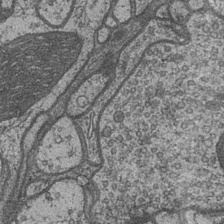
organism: Drosophila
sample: Optic medulla